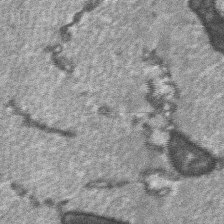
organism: C57BL Mouse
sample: Soleus